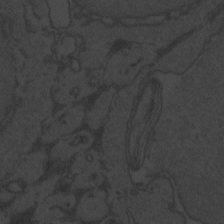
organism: Zebrafish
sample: Macrophage infected with Toxoplasma gondii